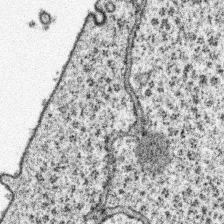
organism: Human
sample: HeLa cells